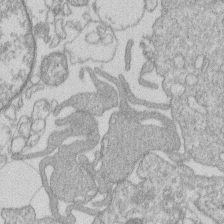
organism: Human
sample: Macrophage cells